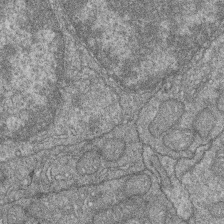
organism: Zebrafish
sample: Cilia; retinal pigment epithelium